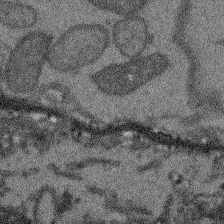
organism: Arabidopsis thaliana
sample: Root tip